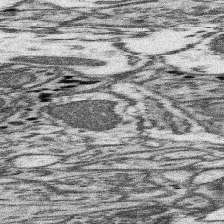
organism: Mouse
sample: Somatosensory cortex neuropil